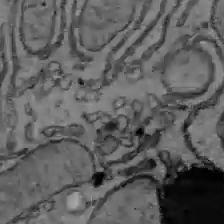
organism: C57BL Mouse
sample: Liver